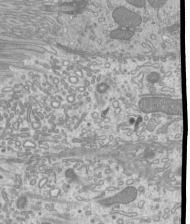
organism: Mouse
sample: Cilia; mouse epididymis